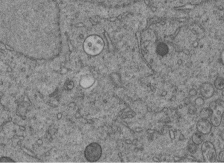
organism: C. elegans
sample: C. elegans embryo early stage